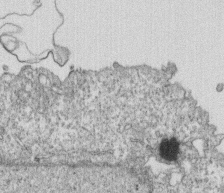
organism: Human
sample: HeLa cell HIV synapse